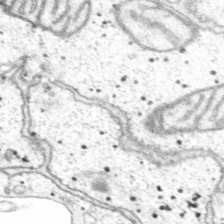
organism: Human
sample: HeLa cells